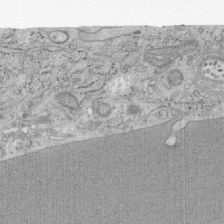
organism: Human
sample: HeLa cells